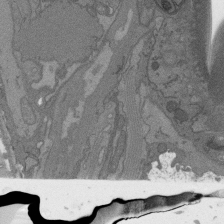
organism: C. elegans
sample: AFD neurons C. elegans